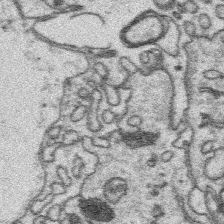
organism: Platynereis dumerilii